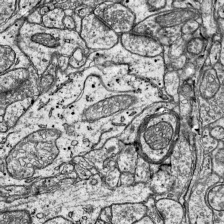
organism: Mouse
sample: Visual Cortex